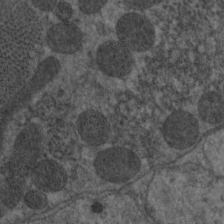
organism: C. elegans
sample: Pharynx